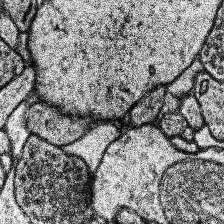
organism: Human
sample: Temporal Lobe